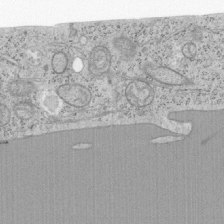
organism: Human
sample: HeLa cells